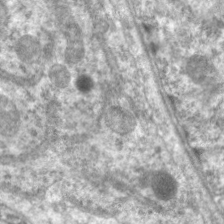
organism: C. elegans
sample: Pharynx